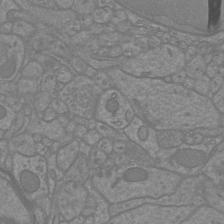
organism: Mouse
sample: Cortical neurons